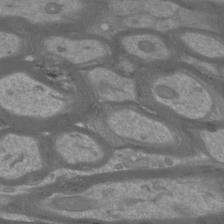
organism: Mouse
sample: Cortical neurons